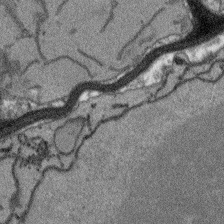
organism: Arabidopsis thaliana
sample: Root tip